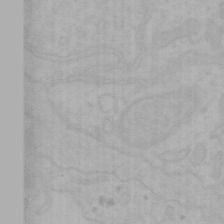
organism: Mouse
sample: Choroid plexus